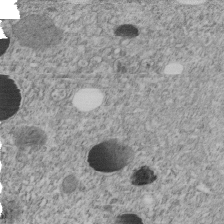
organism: C. elegans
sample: C. elegans embryo early stage